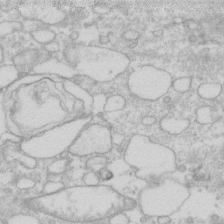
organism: Human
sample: Fibroblast cells